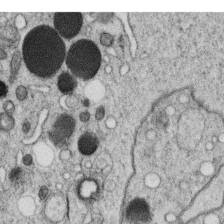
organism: C. elegans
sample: C. elegans oocyte; sperm cells